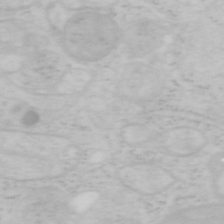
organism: Mouse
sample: OT-I killer T cells with ID8 ovarian cancer cells